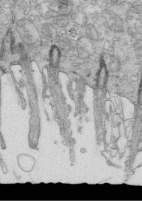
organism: Mouse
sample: Multiciliated cells